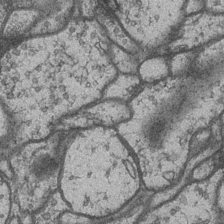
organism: Drosophila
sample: Optic medulla